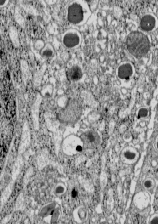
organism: C57BL Mouse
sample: Pancreatic islet